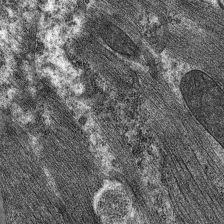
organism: C. elegans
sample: Pharynx